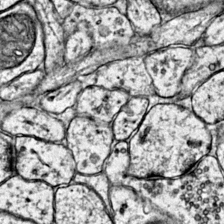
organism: Mouse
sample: Primary visual cortex